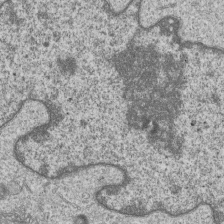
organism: Human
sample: MDA-MB-231 cells